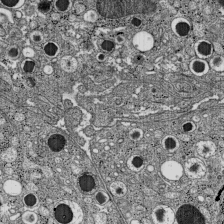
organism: C57BL Mouse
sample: Pancreatic islet